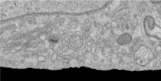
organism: Human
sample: Centriole in RPE cells